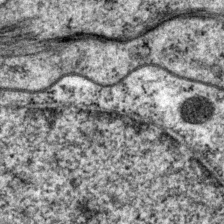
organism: P. pacificus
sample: Pharynx